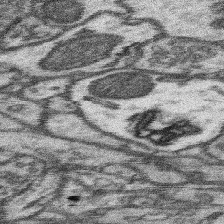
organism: Mouse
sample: Somatosensory cortex neuropil